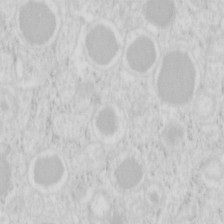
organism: Mouse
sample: Pancreas